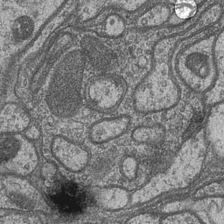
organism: Drosophila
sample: Optic medulla